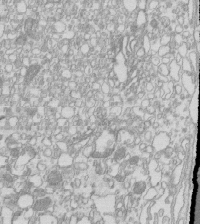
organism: Mouse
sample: Macrophages